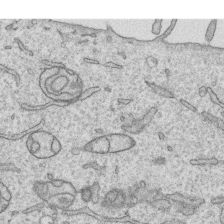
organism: Human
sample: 1205lu cells